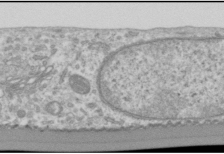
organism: Human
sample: Cilia; basal body in RPE cells